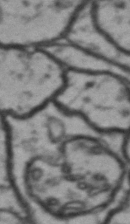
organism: Drosophila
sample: Brain